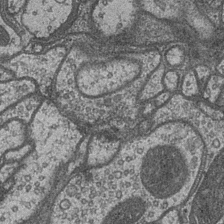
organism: Drosophila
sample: Optic medulla